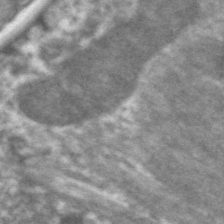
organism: C. elegans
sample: Pharynx